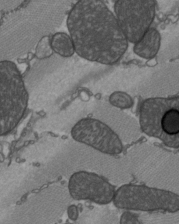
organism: C57BL Mouse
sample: Heart